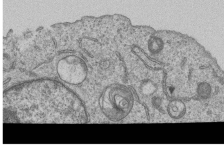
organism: Human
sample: MDA-MB-231 cells